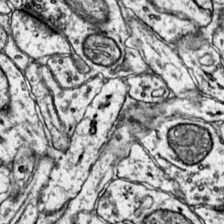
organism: Mouse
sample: Primary visual cortex